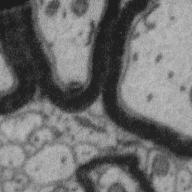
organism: Zebra finch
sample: Brain